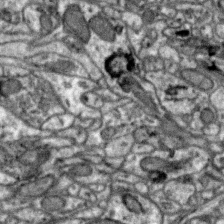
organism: Zebra finch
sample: Brain